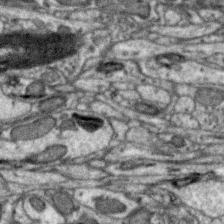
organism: Zebra finch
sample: Brain